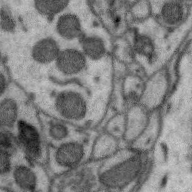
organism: Zebra finch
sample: Brain